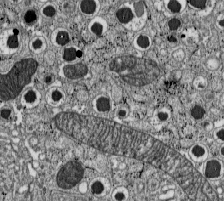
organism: C57BL Mouse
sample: Pancreatic islet